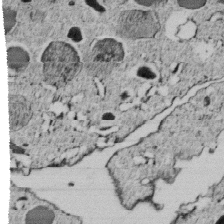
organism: C. elegans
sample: C. elegans embryo early stage